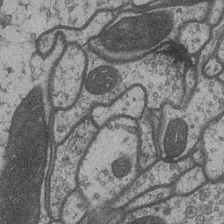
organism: Drosophila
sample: Optic medulla